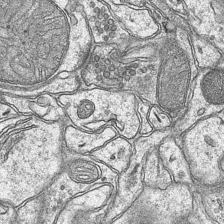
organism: Mouse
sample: CA1 Hippocampus